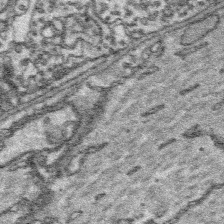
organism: Platynereis dumerilii